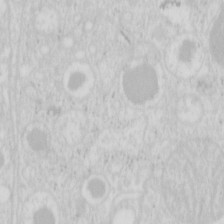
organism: Mouse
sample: Pancreas